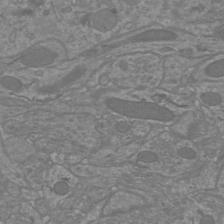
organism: Mouse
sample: Cortical neurons